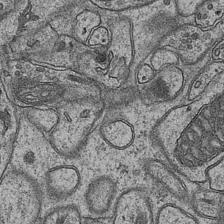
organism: Mouse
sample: CA1 Hippocampus